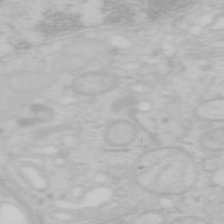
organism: Mouse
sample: OT-I killer T cells with ID8 ovarian cancer cells